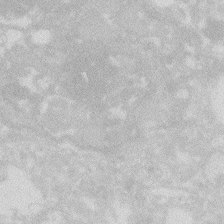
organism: Zebrafish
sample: Macrophage